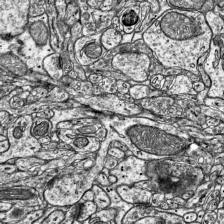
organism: Mouse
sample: Visual Cortex